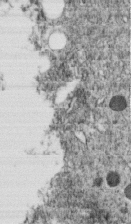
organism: C. elegans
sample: C. elegans embryo early stage